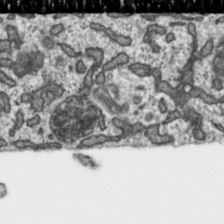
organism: Toxoplasma gondii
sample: Parasites in a vacuole inside a host cell